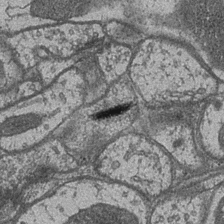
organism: Drosophila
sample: Optic medulla